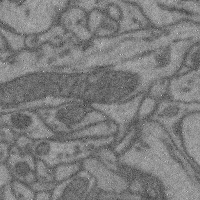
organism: Mouse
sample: Cerebral cortex